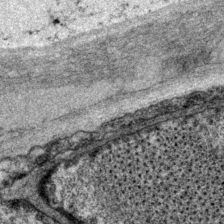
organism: P. pacificus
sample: Pharynx